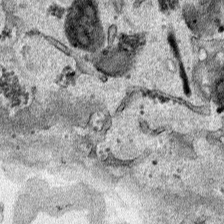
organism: Human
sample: Mitochondria in HCT116 cells